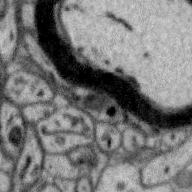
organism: Zebra finch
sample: Brain